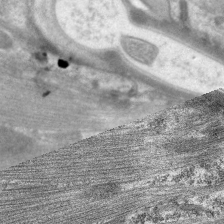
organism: C. elegans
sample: Pharynx